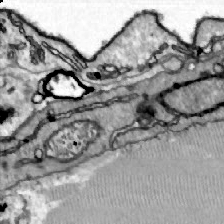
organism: Zebrafish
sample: Actinotrichia fibers